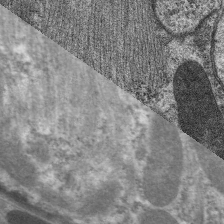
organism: C. elegans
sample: Pharynx